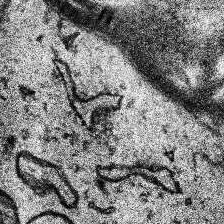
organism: Human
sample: Temporal Lobe